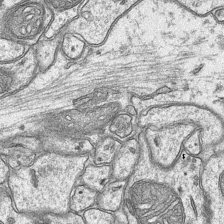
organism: Mouse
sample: CA1 Hippocampus